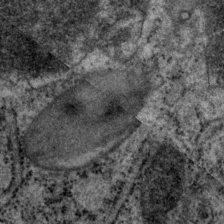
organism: P. pacificus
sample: Pharynx